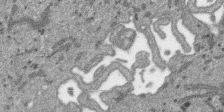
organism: Human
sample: Lung epithelial cells infected with SARS-CoV-2